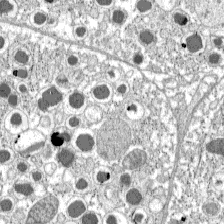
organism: C57BL Mouse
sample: Pancreatic islet